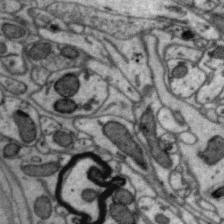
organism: Zebra finch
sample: Brain